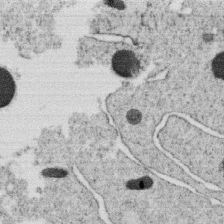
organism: C. elegans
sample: C. elegans oocyte; sperm cells